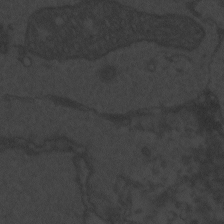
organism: Zebrafish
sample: Macrophage infected with Toxoplasma gondii